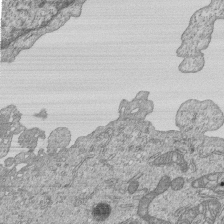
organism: Human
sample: MDA-MB-231 cells